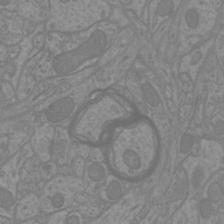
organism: Mouse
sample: Cortical neurons